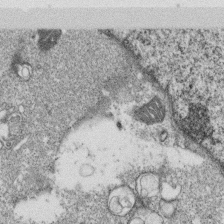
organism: African green monkey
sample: Vero E6 cells infected with SARS-CoV-2